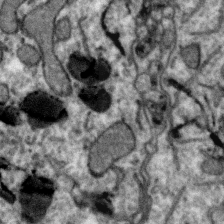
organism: Zebra finch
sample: Brain